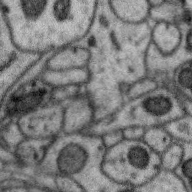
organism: Zebra finch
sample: Brain